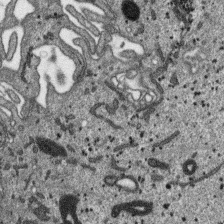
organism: Human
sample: Lung epithelial cells infected with SARS-CoV-2